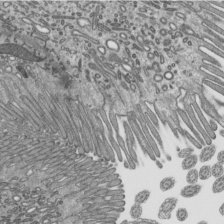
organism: Mouse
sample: Mouse epididymis efferent ductule cilia